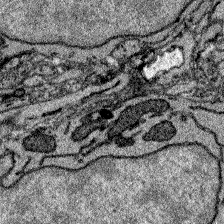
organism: Zebrafish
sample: Larval olfactory bulb